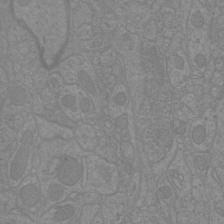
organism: Mouse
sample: Cortical neurons